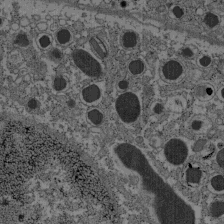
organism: C57BL Mouse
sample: Pancreatic islet